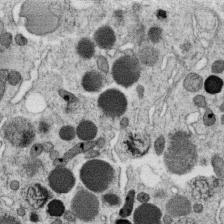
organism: C. elegans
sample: C. elegans oocyte; sperm cells